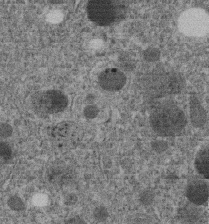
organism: C. elegans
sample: C. elegans embryo early stage